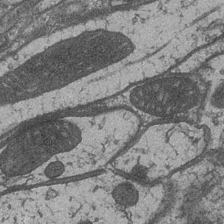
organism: Drosophila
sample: Optic medulla